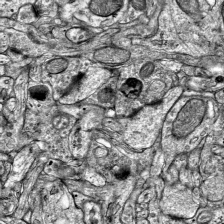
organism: Mouse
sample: Visual Cortex